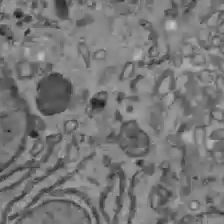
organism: C57BL Mouse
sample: Liver